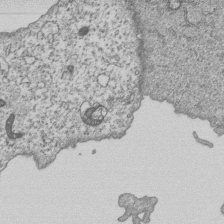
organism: Human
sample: MDA-MB-231 cells